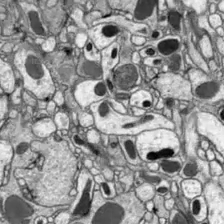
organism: Drosophila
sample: Optic lobe